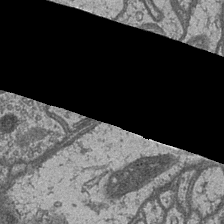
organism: Drosophila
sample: Optic medulla